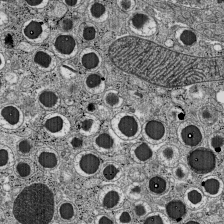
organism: C57BL Mouse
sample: Pancreatic islet